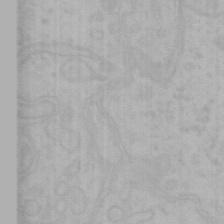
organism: Mouse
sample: Choroid plexus